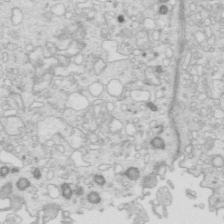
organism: Mouse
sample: Multiciliated cells